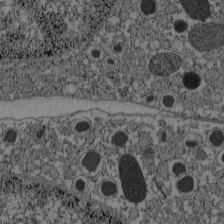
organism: C57BL Mouse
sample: Pancreatic islet